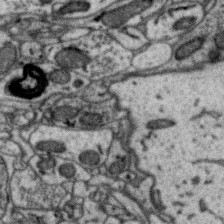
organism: Zebra finch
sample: Brain